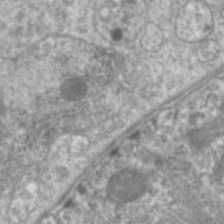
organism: C. elegans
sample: Pharynx